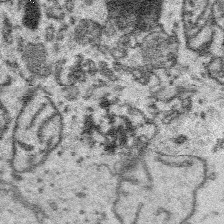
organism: Platynereis dumerilii